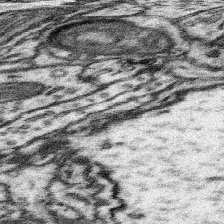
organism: Mouse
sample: Somatosensory cortex neuropil